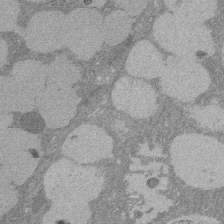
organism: Rat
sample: Salivary granule